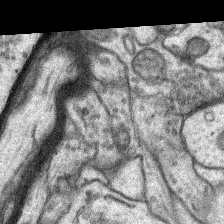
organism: Rat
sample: Hippocampus